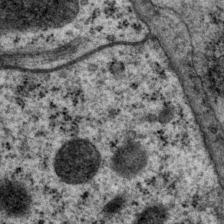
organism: P. pacificus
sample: Pharynx